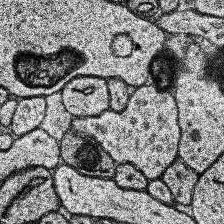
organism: Human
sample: Temporal Lobe